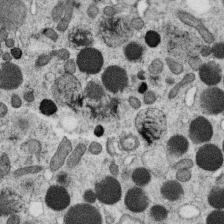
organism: C. elegans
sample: C. elegans oocyte; sperm cells